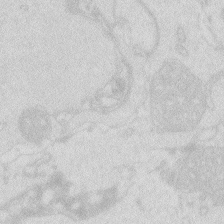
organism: Zebrafish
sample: Macrophage